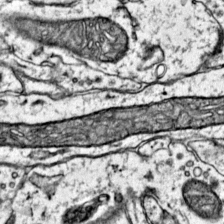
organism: Mouse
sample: Primary visual cortex